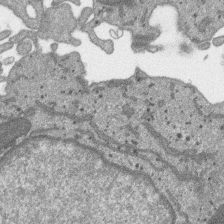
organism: Human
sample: Lung epithelial cells infected with SARS-CoV-2